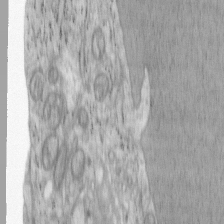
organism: Human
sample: HeLa cells